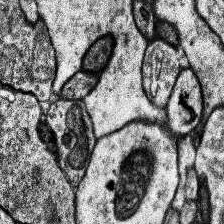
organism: Human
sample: Temporal Lobe